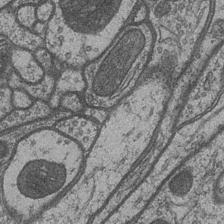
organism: Drosophila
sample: Optic medulla